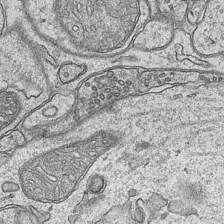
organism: Mouse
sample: CA1 Hippocampus